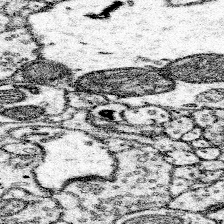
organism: Mouse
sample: Somatosensory cortex neuropil